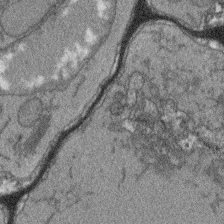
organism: Arabidopsis thaliana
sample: Root tip